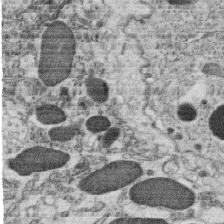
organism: C. elegans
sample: C. elegans oocyte; sperm cells